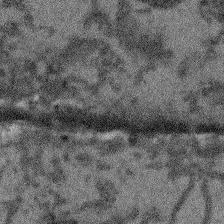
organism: Arabidopsis thaliana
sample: Root tip